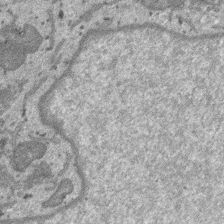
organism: Human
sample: Lung epithelial cells infected with SARS-CoV-2